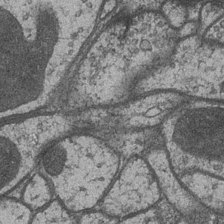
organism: Drosophila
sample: Optic medulla